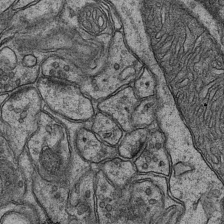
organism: Mouse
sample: CA1 Hippocampus